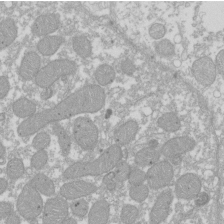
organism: Xenopus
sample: Cilia; centrioles in frog embryo cells